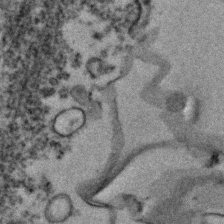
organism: Zebrafish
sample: Zebrafish embryo